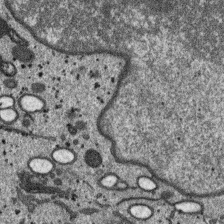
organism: Human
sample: Lung epithelial cells infected with SARS-CoV-2